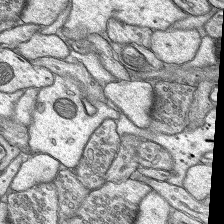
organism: Rat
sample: Hippocampus